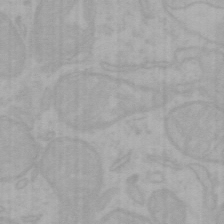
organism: Mouse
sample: Choroid plexus